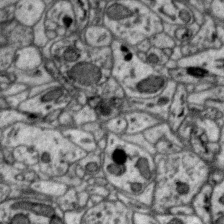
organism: Zebra finch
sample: Brain